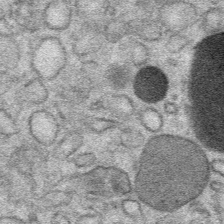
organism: Mouse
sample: Mouse Salivary gland